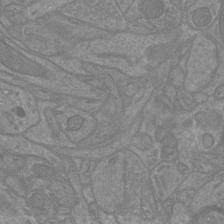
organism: Mouse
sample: Cortical neurons